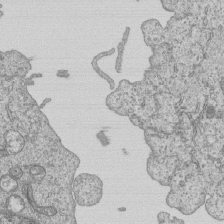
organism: Human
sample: MDA-MB-231 cells